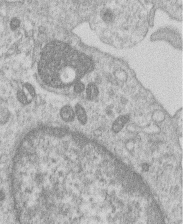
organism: Human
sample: Macrophage cells